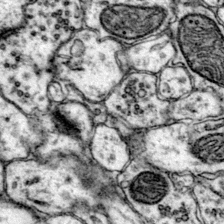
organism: Mouse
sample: Primary visual cortex